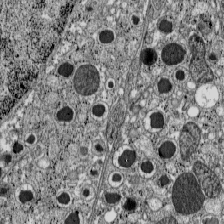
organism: C57BL Mouse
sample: Pancreatic islet